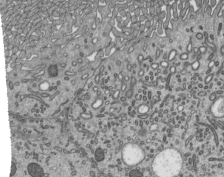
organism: Mouse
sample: Mouse epididymis efferent ductule cilia